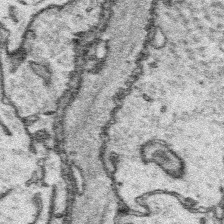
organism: Platynereis dumerilii